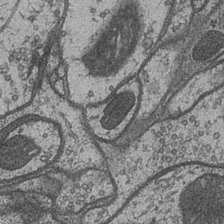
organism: Drosophila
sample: Optic medulla